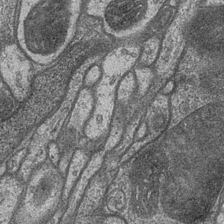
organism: Drosophila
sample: Optic medulla